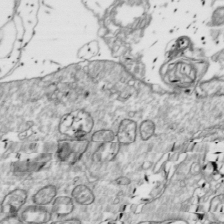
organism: Drosophila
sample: Cell division; meiosis; drosophila spermatocytes